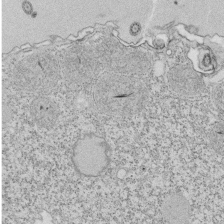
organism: Tetrahymena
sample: Cilia in tetrahymena